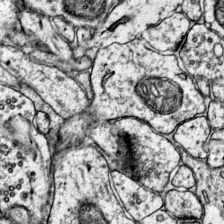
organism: Mouse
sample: Primary visual cortex